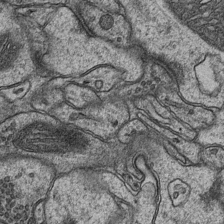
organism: Mouse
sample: CA1 Hippocampus